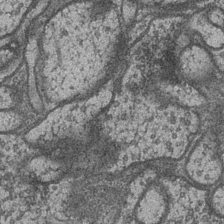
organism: Drosophila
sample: Optic medulla